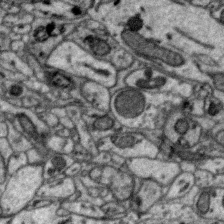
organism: Zebra finch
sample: Brain